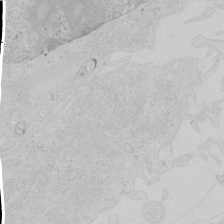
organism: Human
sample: Mitochondria in HCT116 cells